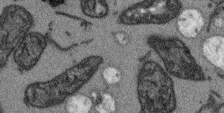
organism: Arabidopsis thaliana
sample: Root tip